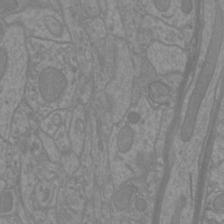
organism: Mouse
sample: Cortical neurons